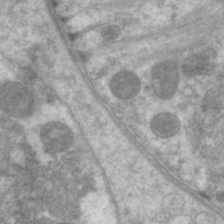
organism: C. elegans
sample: Pharynx